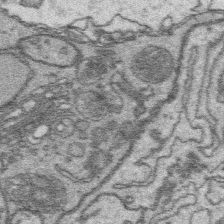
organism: Platynereis dumerilii